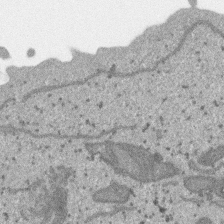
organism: Human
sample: Lung epithelial cells infected with SARS-CoV-2